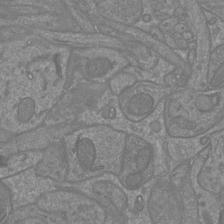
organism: Mouse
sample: Cortical neurons